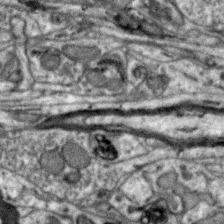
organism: Zebra finch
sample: Brain